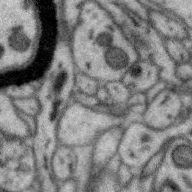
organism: Zebra finch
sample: Brain